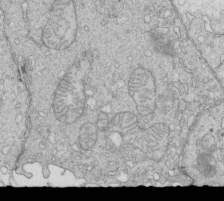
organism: Mouse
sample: Multiciliated cells